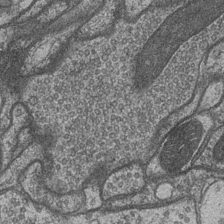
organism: Drosophila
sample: Optic medulla